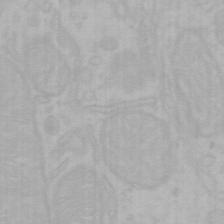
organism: Mouse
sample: Choroid plexus